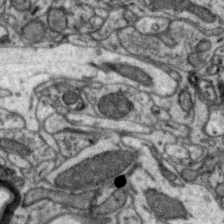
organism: Zebra finch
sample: Brain